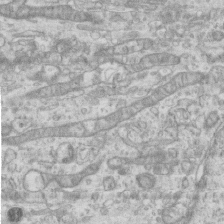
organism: Mouse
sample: Centriole in ependymal cells